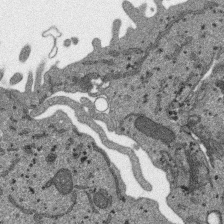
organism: Human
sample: Lung epithelial cells infected with SARS-CoV-2